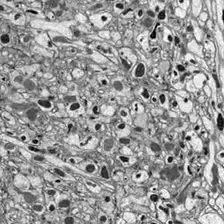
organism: Drosophila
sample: Optic lobe